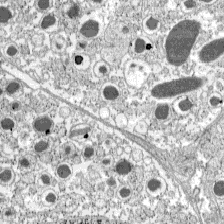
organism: C57BL Mouse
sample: Pancreatic islet